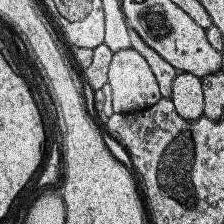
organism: Human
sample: Temporal Lobe